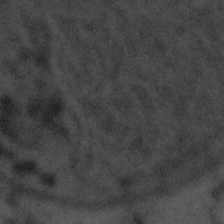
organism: Tuwongella immobilis